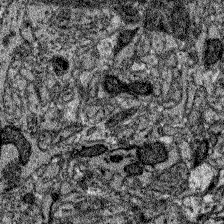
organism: Zebrafish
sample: Larval olfactory bulb